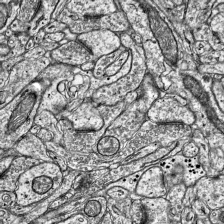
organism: Mouse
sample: Visual Cortex